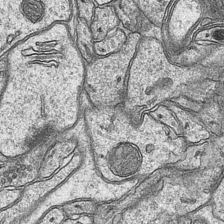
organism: Mouse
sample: CA1 Hippocampus